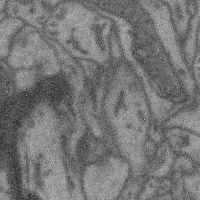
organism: Mouse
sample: Cerebral cortex